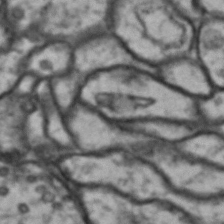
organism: Drosophila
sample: Brain